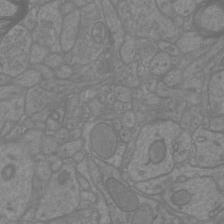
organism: Mouse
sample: Cortical neurons